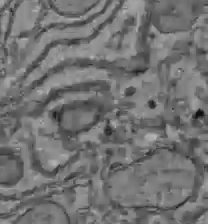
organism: C57BL Mouse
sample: Liver